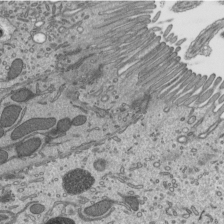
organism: Mouse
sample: Mouse epididymis efferent ductule cilia